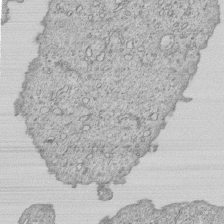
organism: Human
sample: MDA-MB-231 cells